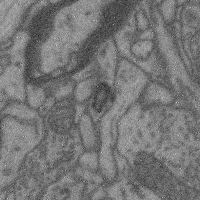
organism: Mouse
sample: Cerebral cortex